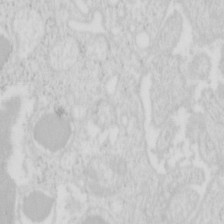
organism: Mouse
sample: Pancreas